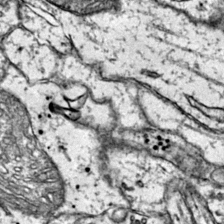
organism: Mouse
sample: Primary visual cortex